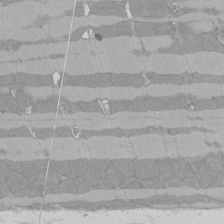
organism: Rat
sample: Left ventricle